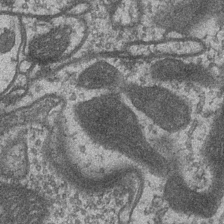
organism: Drosophila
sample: Optic medulla